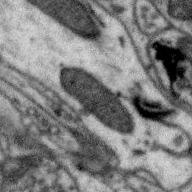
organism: Zebra finch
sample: Brain